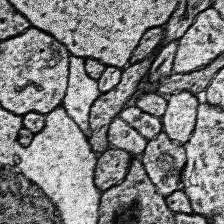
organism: Human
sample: Temporal Lobe